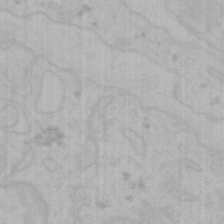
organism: Mouse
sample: Choroid plexus